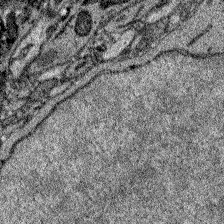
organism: Zebrafish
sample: Larval olfactory bulb